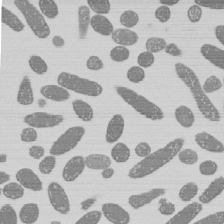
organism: E. coli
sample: Bacterial nucleoid